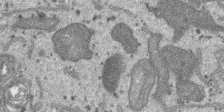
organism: Human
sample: Lung epithelial cells infected with SARS-CoV-2